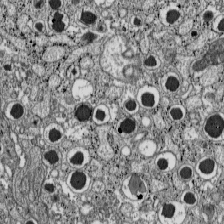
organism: C57BL Mouse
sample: Pancreatic islet